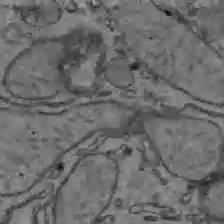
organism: C57BL Mouse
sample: Liver